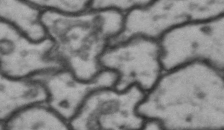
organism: Drosophila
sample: Brain